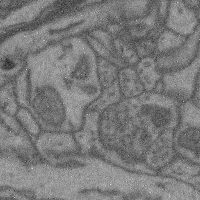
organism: Mouse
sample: Cerebral cortex